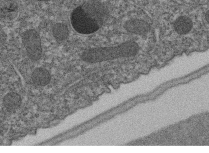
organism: C. elegans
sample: C. elegans embryo early stage